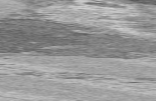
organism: C57BL Mouse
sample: Heart